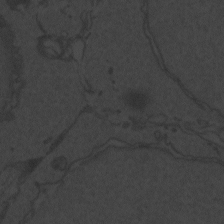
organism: Zebrafish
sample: Macrophage infected with Toxoplasma gondii